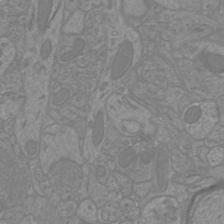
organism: Mouse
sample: Cortical neurons